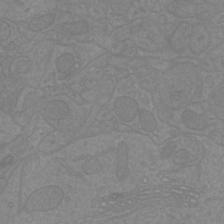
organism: Mouse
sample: Cortical neurons